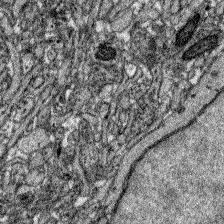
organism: Zebrafish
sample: Larval olfactory bulb